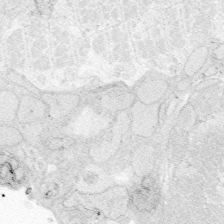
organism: Zebrafish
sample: Whole-Brain